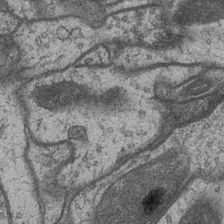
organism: Drosophila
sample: Optic medulla